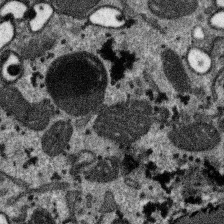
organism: Human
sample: Lung epithelial cells infected with SARS-CoV-2